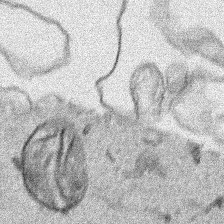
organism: Human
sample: Mitochondria in HCT116 cells